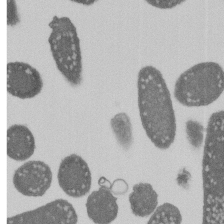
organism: E. coli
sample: Bacterial nucleoid